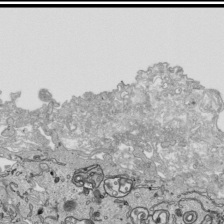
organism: Human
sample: Mitochondria in HCT116 cells